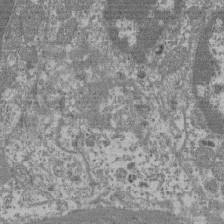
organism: Mouse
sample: Glomerulus